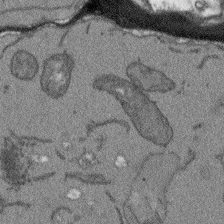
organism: Arabidopsis thaliana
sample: Root tip